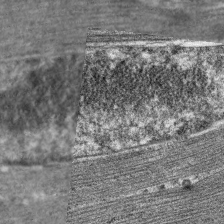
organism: C. elegans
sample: Pharynx